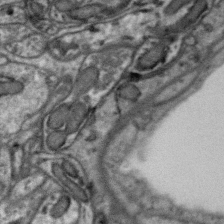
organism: Zebra finch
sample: Brain